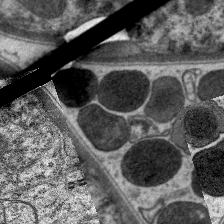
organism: C. elegans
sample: Pharynx